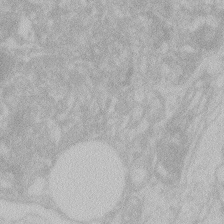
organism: Zebrafish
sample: Macrophage infected with Toxoplasma gondii